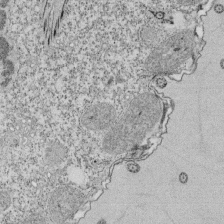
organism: Tetrahymena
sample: Cilia in tetrahymena